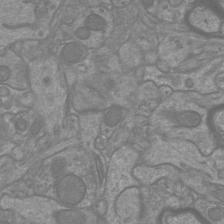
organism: Mouse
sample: Cortical neurons